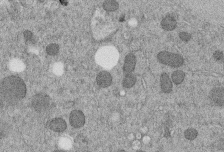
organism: C. elegans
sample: C. elegans embryo early stage